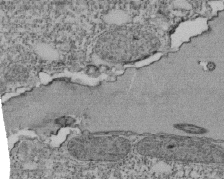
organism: Tetrahymena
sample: Cilia in tetrahymena